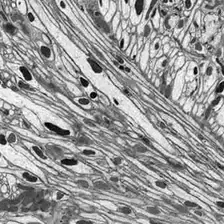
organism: Drosophila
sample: Optic lobe